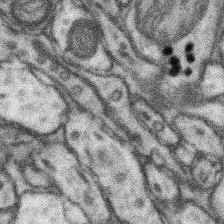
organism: Mouse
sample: Somatosensory cortex neuropil